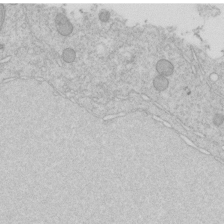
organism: C. elegans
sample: C. elegans embryo early stage